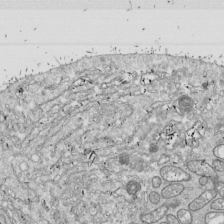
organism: Drosophila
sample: Cell division; meiosis; drosophila spermatocytes